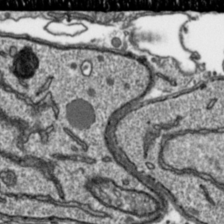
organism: Toxoplasma gondii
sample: Parasites in a vacuole inside a host cell